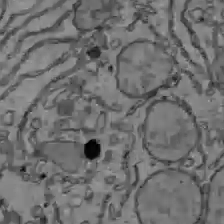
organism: C57BL Mouse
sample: Liver